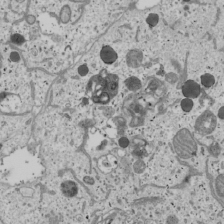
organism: Human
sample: Mitochondria in U2OS cells